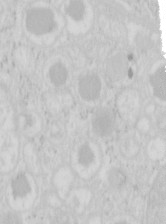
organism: Mouse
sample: Pancreas